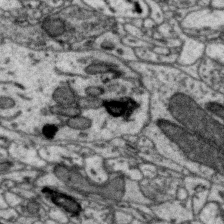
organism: Zebra finch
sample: Brain